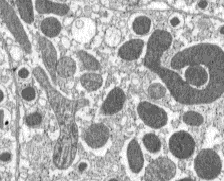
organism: C57BL Mouse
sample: Pancreatic islet